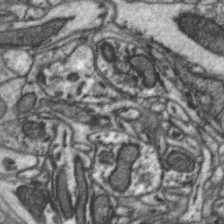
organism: Zebra finch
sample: Brain